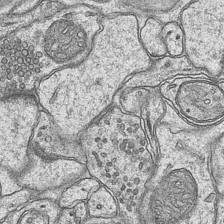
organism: Mouse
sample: CA1 Hippocampus